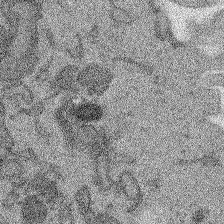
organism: Human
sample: HeLa cells